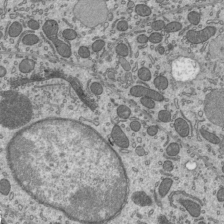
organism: Mouse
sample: Mouse epididymis efferent ductule cilia